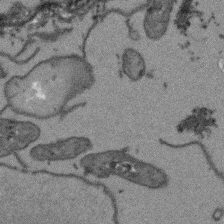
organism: Arabidopsis thaliana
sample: Root tip